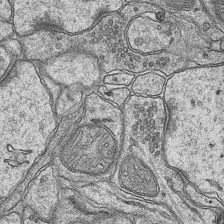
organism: Mouse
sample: CA1 Hippocampus